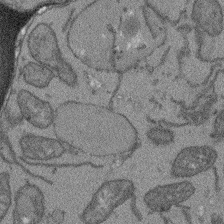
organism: Arabidopsis thaliana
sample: Root tip